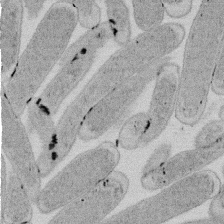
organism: E. coli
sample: Bacterial nucleoid